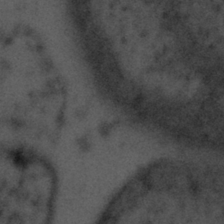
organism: Tuwongella immobilis